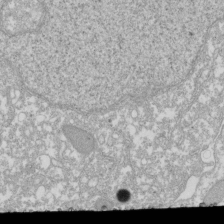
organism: Xenopus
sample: Cilia; centrioles in frog embryo cells